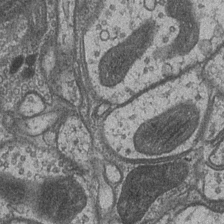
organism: Drosophila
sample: Optic medulla